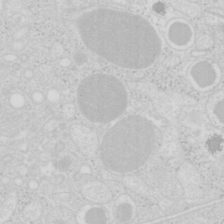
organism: Mouse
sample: Pancreas